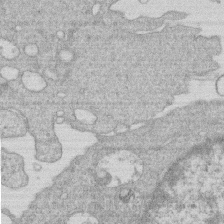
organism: Human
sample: Macrophage cells